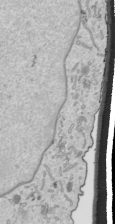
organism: Human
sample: Mitochondria in HCT116 cells